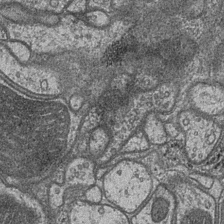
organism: Drosophila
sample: Optic medulla